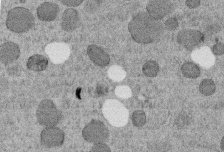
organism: C. elegans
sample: C. elegans embryo early stage